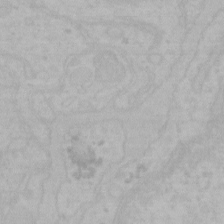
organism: Mouse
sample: Choroid plexus